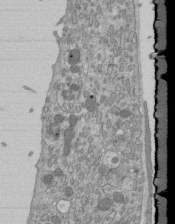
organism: Mouse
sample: ED-1 cell nuclei; centrioles